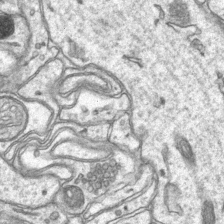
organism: Mouse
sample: CA1 Hippocampus